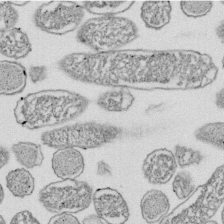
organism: E. coli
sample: Bacterial nucleoid